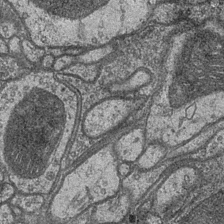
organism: Drosophila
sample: Optic medulla